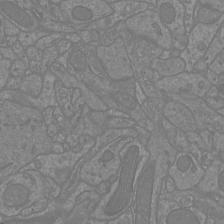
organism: Mouse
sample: Cortical neurons